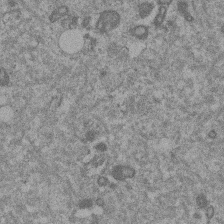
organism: Mouse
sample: Dividing mouse embryo 1 cell stage